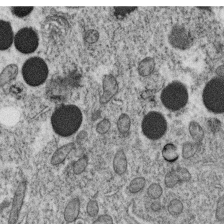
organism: C. elegans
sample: C. elegans oocyte; sperm cells